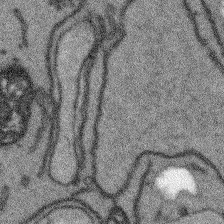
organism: Arabidopsis thaliana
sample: Root tip